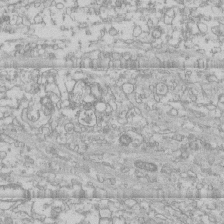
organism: Human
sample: CRL-1474